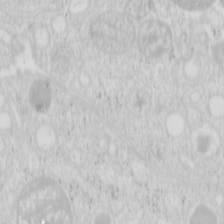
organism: Mouse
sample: Pancreas